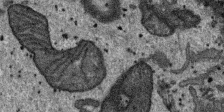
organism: Human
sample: Lung epithelial cells, uninfected (mock) control